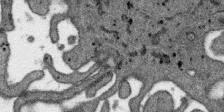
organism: Human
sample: Lung epithelial cells, uninfected (mock) control